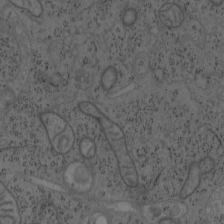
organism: Mouse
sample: OT-I killer T cells with ID8 ovarian cancer cells